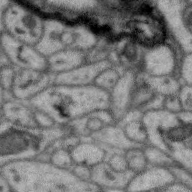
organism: Zebra finch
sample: Brain